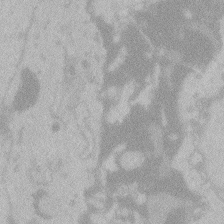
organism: Zebrafish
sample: Macrophage infected with Toxoplasma gondii